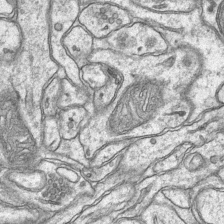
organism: Mouse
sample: CA1 Hippocampus